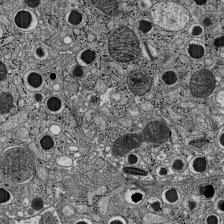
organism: C57BL Mouse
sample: Pancreatic islet